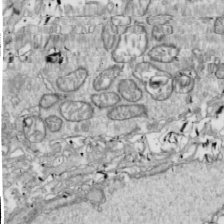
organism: Drosophila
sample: Cell division; meiosis; drosophila spermatocytes